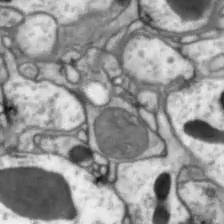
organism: Drosophila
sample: Optic lobe